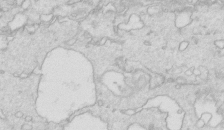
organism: Mouse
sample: Multiciliated cells